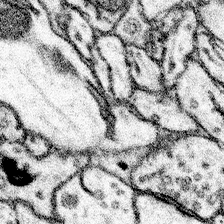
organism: Mouse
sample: Somatosensory cortex neuropil